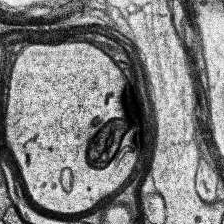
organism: Human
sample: Temporal Lobe